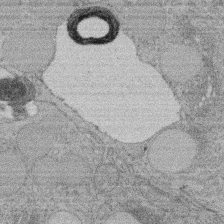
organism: Rat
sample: Salivary granule